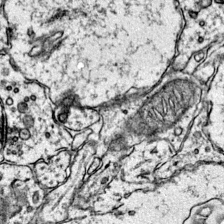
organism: Mouse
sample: Primary visual cortex